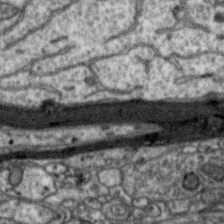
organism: Zebra finch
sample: Brain